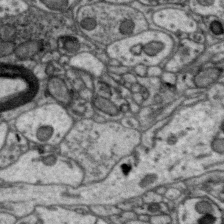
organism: Zebra finch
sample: Brain